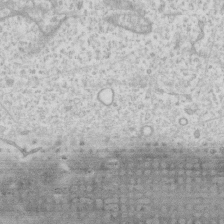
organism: Human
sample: Fibroblast cells